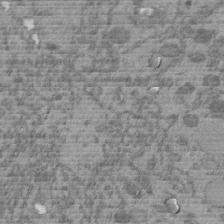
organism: C. elegans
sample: C. elegans embryo early stage